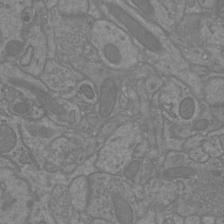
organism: Mouse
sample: Cortical neurons